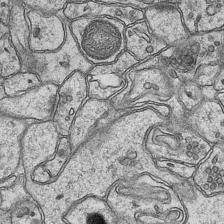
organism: Mouse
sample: CA1 Hippocampus